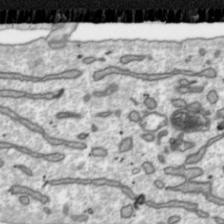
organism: Toxoplasma gondii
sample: Parasites in a vacuole inside a host cell